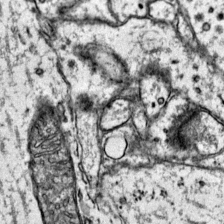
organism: Mouse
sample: Primary visual cortex